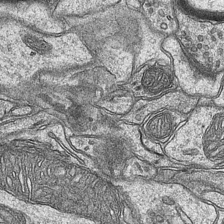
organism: Mouse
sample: CA1 Hippocampus